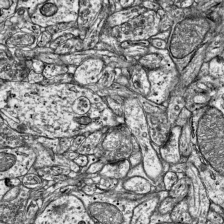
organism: Mouse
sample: Visual Cortex